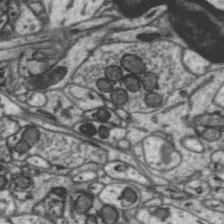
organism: Zebra finch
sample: Brain